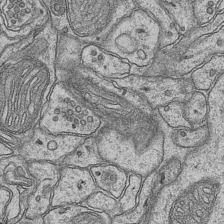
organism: Mouse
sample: CA1 Hippocampus